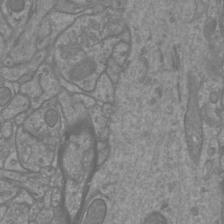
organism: Mouse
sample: Cortical neurons